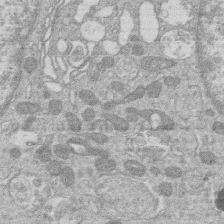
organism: Human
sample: Macrophage cells